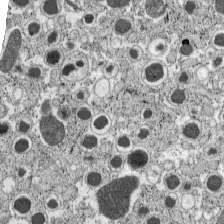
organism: C57BL Mouse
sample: Pancreatic islet